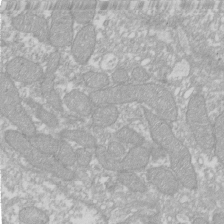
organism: Xenopus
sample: Cilia; centrioles in frog embryo cells